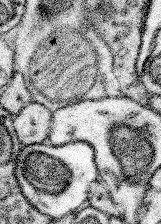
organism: Mouse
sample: Somatosensory cortex neuropil